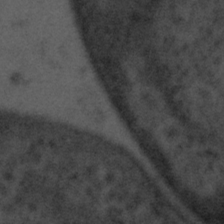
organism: Tuwongella immobilis